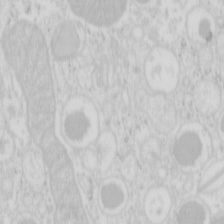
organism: Mouse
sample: Pancreas